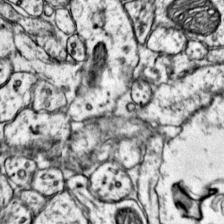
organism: Mouse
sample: Primary visual cortex